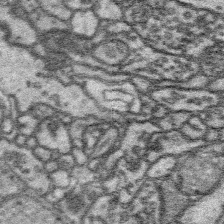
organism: Platynereis dumerilii